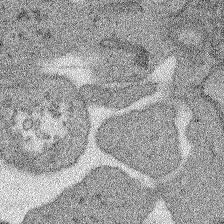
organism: Human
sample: HeLa cells